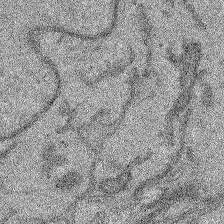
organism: Human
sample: HeLa cells